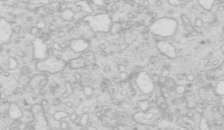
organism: Mouse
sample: Multiciliated cells